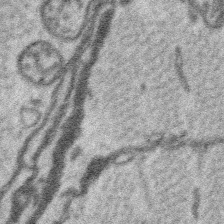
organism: Platynereis dumerilii